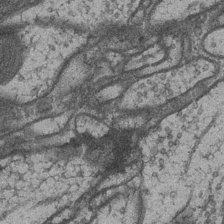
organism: Drosophila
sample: Optic medulla